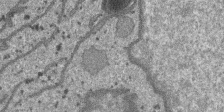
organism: Human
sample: Lung epithelial cells infected with SARS-CoV-2